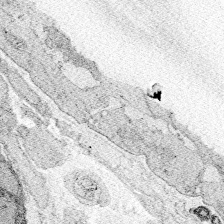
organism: Zebrafish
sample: Whole-Brain